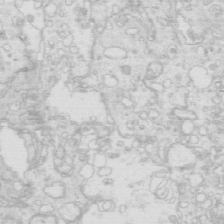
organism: Mouse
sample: Multiciliated cells